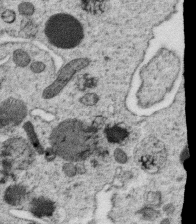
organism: C. elegans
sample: C. elegans oocyte; sperm cells